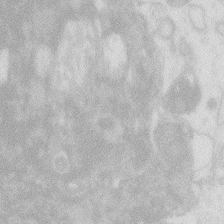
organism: Zebrafish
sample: Macrophage